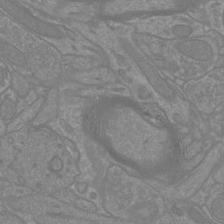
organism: Mouse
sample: Cortical neurons